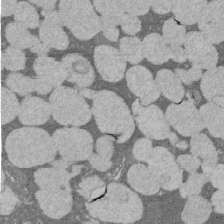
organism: Rat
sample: Salivary granule